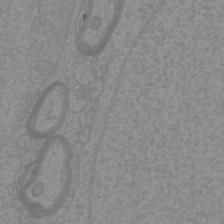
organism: Mouse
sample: Cortical neurons